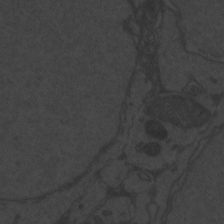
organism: Zebrafish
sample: Macrophage infected with Toxoplasma gondii